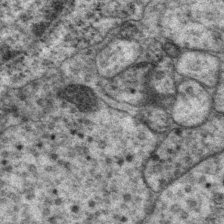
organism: P. pacificus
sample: Pharynx